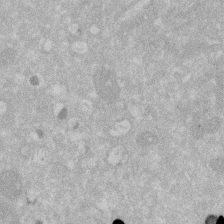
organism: Human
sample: HIV infected U937 cells